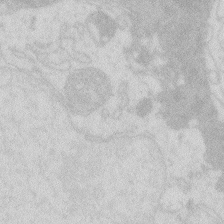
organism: Zebrafish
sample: Macrophage